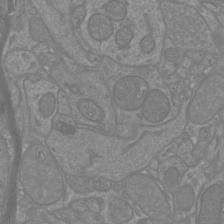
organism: Mouse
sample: Cortical neurons